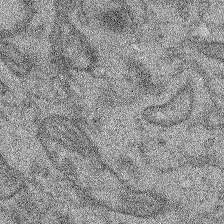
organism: Human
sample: HeLa cells